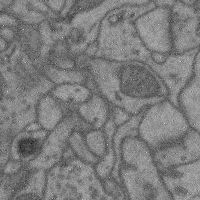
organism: Mouse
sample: Cerebral cortex